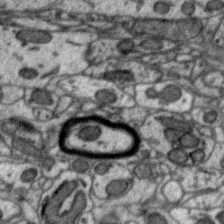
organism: Zebra finch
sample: Brain